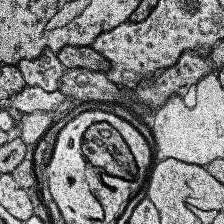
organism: Human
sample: Temporal Lobe